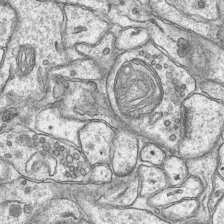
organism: Mouse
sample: CA1 Hippocampus